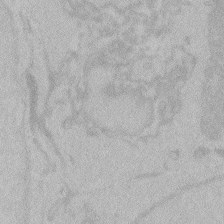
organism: Zebrafish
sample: Macrophage infected with Toxoplasma gondii